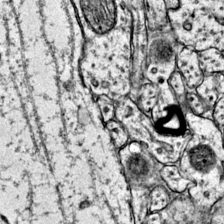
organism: Mouse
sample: Primary visual cortex